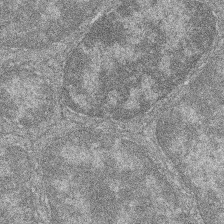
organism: Zebrafish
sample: Cilia; retinal pigment epithelium